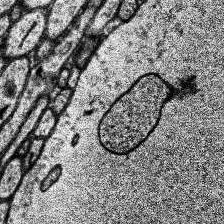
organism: Human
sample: Temporal Lobe